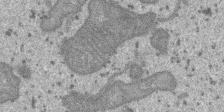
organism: Human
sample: Lung epithelial cells infected with SARS-CoV-2